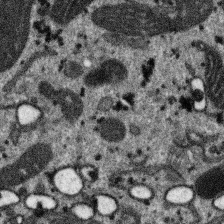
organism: Human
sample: Lung epithelial cells infected with SARS-CoV-2